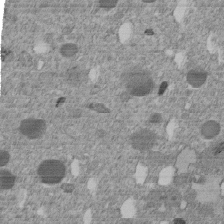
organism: C. elegans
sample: C. elegans embryo early stage